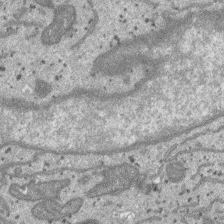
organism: Human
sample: Lung epithelial cells infected with SARS-CoV-2